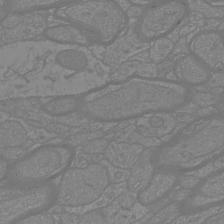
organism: Mouse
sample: Cortical neurons